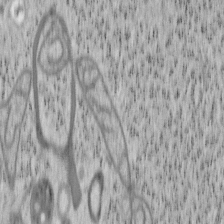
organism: Human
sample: HeLa cells